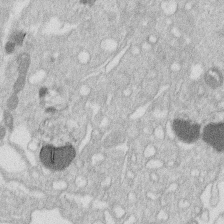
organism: Human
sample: Macrophage cells